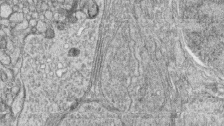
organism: Zebrafish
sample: synaptic ribbons in rod cells and cone cells